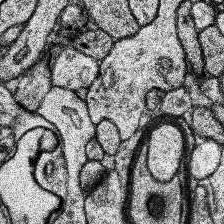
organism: Human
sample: Temporal Lobe